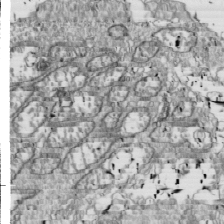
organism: Drosophila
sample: Cell division; meiosis; drosophila spermatocytes